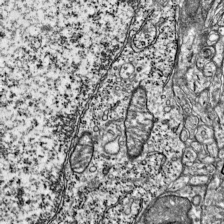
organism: Mouse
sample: Visual Cortex